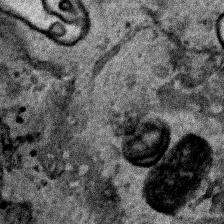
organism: Human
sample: Mitochondria in HCT116 cells